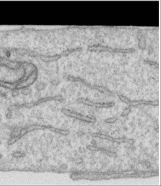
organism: Human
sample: Centriole in RPE cells